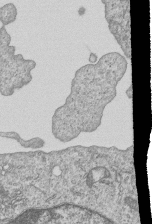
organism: Human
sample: MDA-MB-231 cells